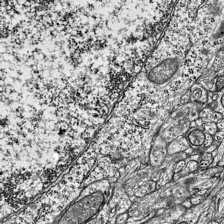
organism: Mouse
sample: Visual Cortex